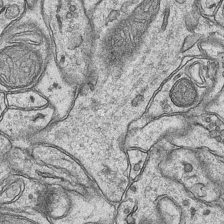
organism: Mouse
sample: CA1 Hippocampus